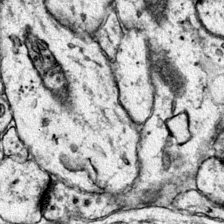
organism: Mouse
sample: Primary visual cortex